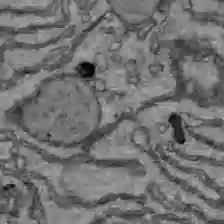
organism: C57BL Mouse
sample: Liver